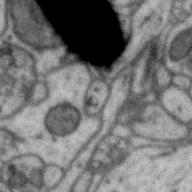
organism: Zebra finch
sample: Brain